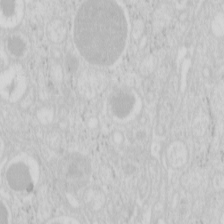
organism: Mouse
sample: Pancreas